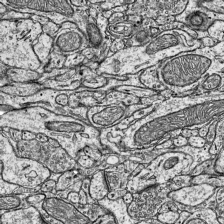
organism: Mouse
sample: Visual Cortex